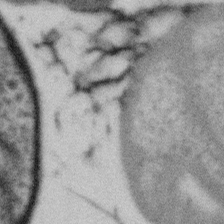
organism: Gemmata obscuriglobus